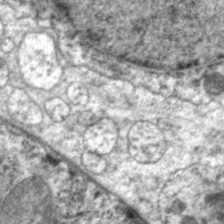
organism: C. elegans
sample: Pharynx